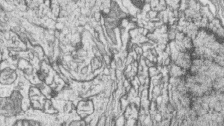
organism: Zebrafish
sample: synaptic ribbons in rod cells and cone cells